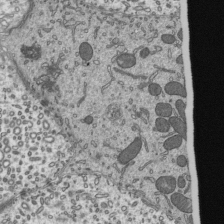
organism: Mouse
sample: Mouse epididymis efferent ductule cilia